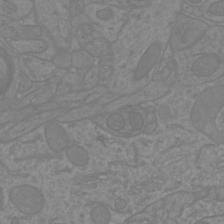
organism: Mouse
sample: Cortical neurons